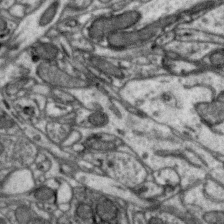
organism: Zebra finch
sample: Brain